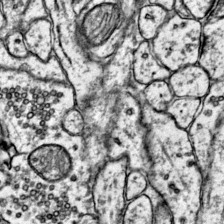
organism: Mouse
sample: Primary visual cortex